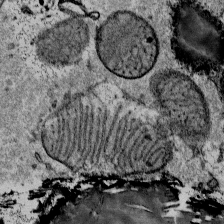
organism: Mouse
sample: Mouse Salivary gland